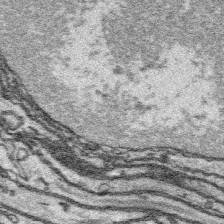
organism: Platynereis dumerilii